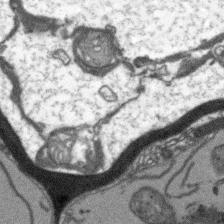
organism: Arabidopsis thaliana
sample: Root tip